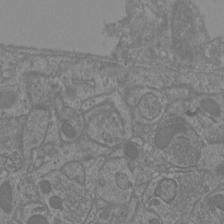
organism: Mouse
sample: Cortical neurons